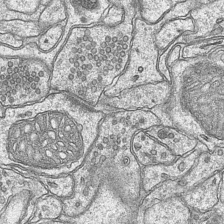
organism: Mouse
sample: CA1 Hippocampus